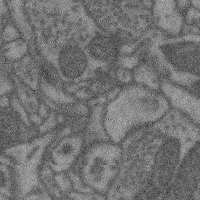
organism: Mouse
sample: Cerebral cortex